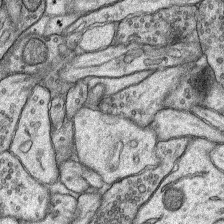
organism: Rat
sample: Hippocampus